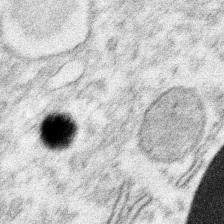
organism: Xenopus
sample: Cilia; centrioles in frog embryo cells